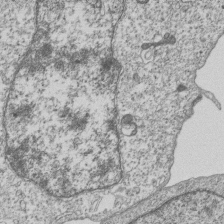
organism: Human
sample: MDA-MB-231 cells